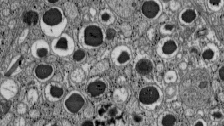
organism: C57BL Mouse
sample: Pancreatic islet